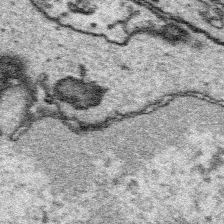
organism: Platynereis dumerilii